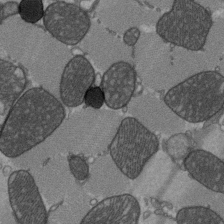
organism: C57BL Mouse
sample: Heart